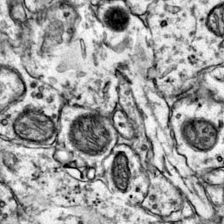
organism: Mouse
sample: Primary visual cortex